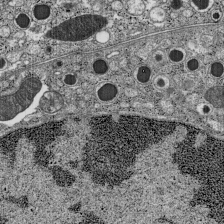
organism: C57BL Mouse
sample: Pancreatic islet